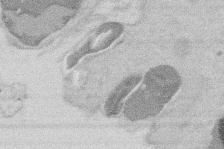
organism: Mouse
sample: T cell stromal cell synapse